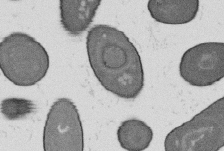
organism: B. subtilis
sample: Bacterial spore